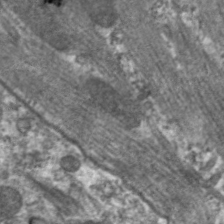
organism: C. elegans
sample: Pharynx